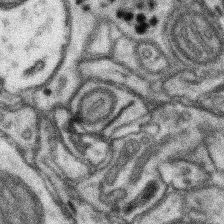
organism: Mouse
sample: Somatosensory cortex neuropil